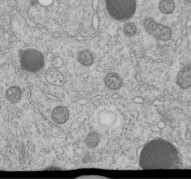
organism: C. elegans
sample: C. elegans embryo early stage